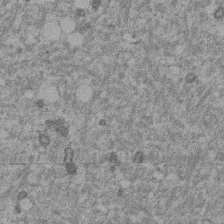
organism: Mouse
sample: Dividing mouse embryo 1 cell stage